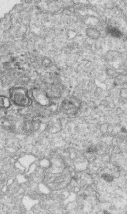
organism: Human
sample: HeLa cell HIV synapse